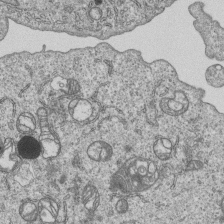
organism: Human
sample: MDA-MB-231 cells